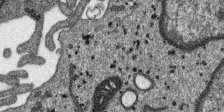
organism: Human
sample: Lung epithelial cells infected with SARS-CoV-2